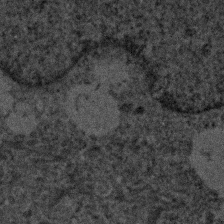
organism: Human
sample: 1205lu cells